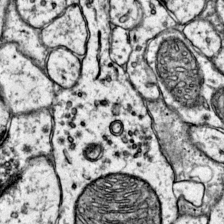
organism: Mouse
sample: Primary visual cortex